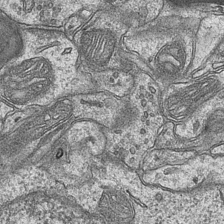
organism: Mouse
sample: CA1 Hippocampus